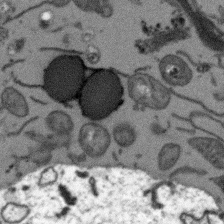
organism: Arabidopsis thaliana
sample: Root tip